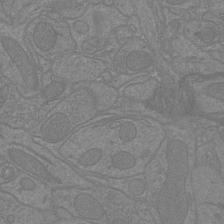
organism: Mouse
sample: Cortical neurons